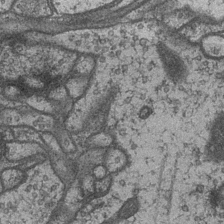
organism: Drosophila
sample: Optic medulla